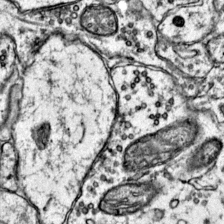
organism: Mouse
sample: Primary visual cortex